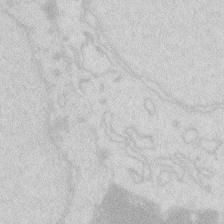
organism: Zebrafish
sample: Macrophage